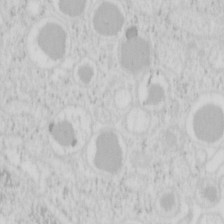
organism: Mouse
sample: Pancreas